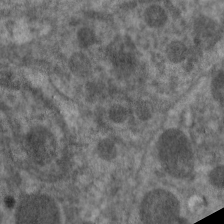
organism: C. elegans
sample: Pharynx